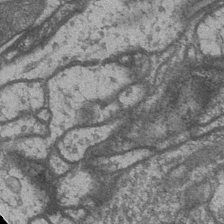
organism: Drosophila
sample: Optic medulla